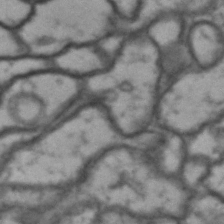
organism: Drosophila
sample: Brain